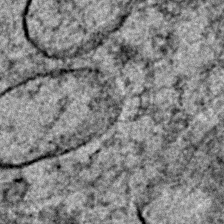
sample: Trachea